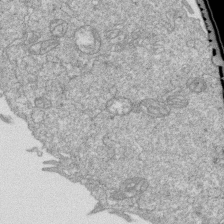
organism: Human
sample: HeLa cell HIV synapse